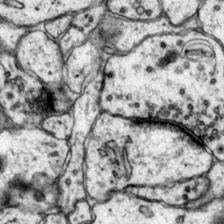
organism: Mouse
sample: Primary visual cortex